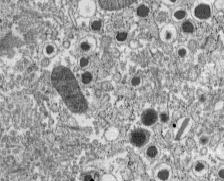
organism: C57BL Mouse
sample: Pancreatic islet